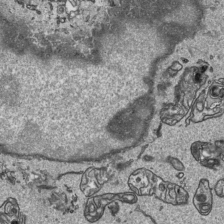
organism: Human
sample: Mitochondria in HCT116 cells